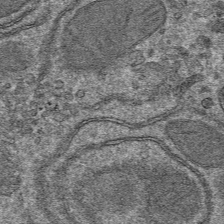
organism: Mouse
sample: Mouse hepatocytes